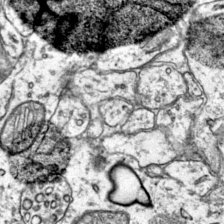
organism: Mouse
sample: Primary visual cortex